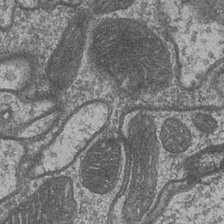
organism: Drosophila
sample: Optic medulla